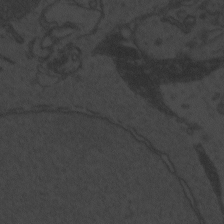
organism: Zebrafish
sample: Macrophage infected with Toxoplasma gondii